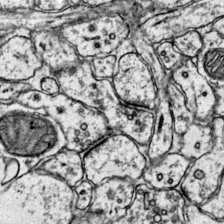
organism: Mouse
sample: Primary visual cortex